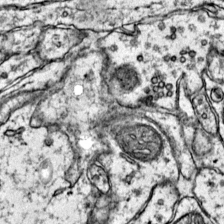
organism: Mouse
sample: Primary visual cortex